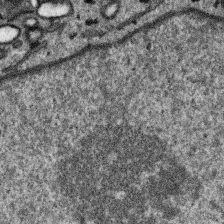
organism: Human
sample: Lung epithelial cells infected with SARS-CoV-2